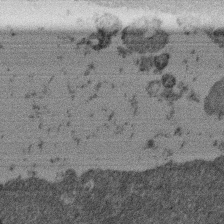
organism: Mouse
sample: Dividing mouse embryo 1 cell stage